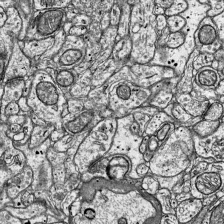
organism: Mouse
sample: Visual Cortex